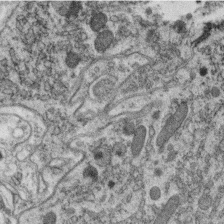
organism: C. elegans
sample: C. elegans oocyte; sperm cells